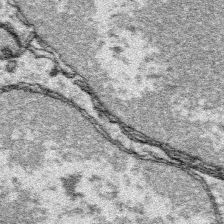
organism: Platynereis dumerilii